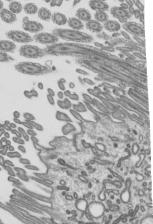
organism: Mouse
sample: Mouse epididymis efferent ductule cilia